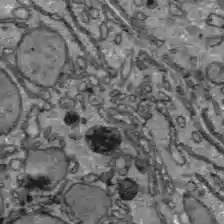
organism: C57BL Mouse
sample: Liver